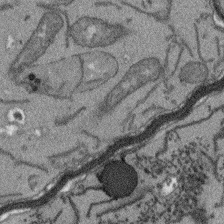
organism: Arabidopsis thaliana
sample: Root tip